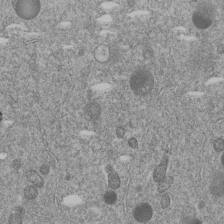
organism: C. elegans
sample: C. elegans embryo early stage